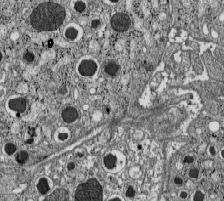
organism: C57BL Mouse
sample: Pancreatic islet